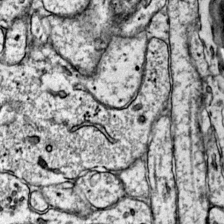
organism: Mouse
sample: Primary visual cortex